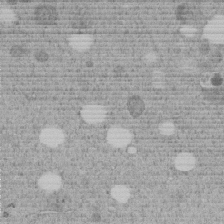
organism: C. elegans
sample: C. elegans embryo early stage